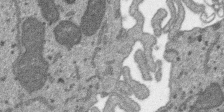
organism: Human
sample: Lung epithelial cells infected with SARS-CoV-2